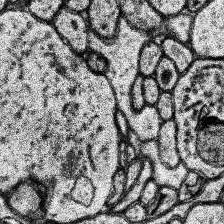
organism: Human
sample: Temporal Lobe